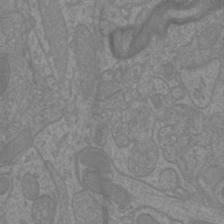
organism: Mouse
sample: Cortical neurons